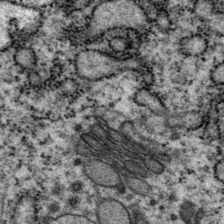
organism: P. pacificus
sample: Pharynx